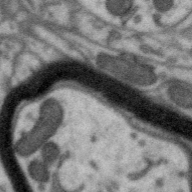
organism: Zebra finch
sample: Brain